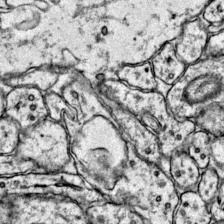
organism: Mouse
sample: Primary visual cortex